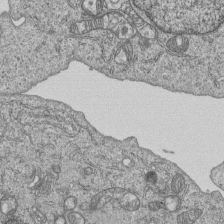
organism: Human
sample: MDA-MB-231 cells